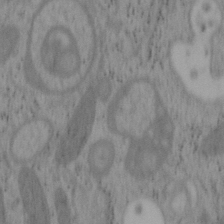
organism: Mouse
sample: OT-I killer T cells with ID8 ovarian cancer cells